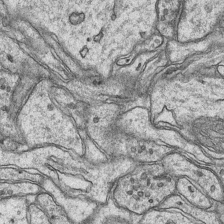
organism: Mouse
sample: CA1 Hippocampus